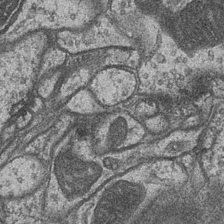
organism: Drosophila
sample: Optic medulla